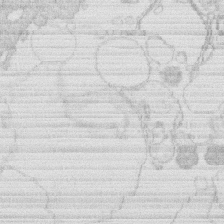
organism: Human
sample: Macrophage cells